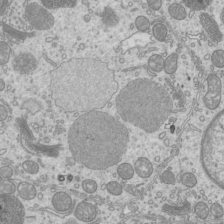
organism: Mouse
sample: Cilia; mouse epididymis